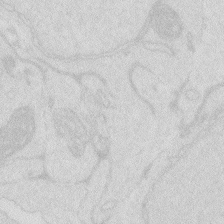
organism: Zebrafish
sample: Macrophage